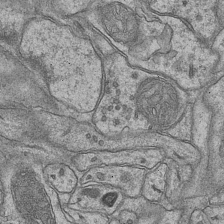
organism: Mouse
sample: CA1 Hippocampus